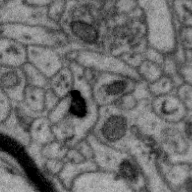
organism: Zebra finch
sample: Brain